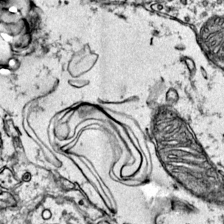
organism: Mouse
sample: Primary visual cortex